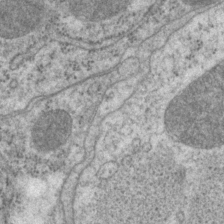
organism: P. pacificus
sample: Pharynx